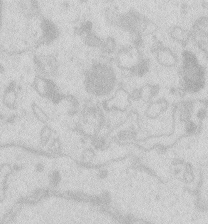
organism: Zebrafish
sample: Macrophage